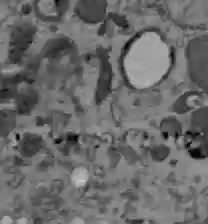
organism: C57BL Mouse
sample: Liver